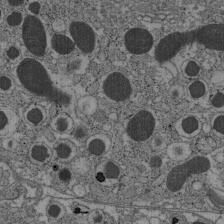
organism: C57BL Mouse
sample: Pancreatic islet